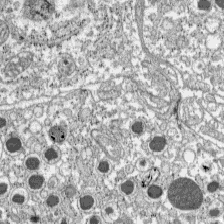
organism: C57BL Mouse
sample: Pancreatic islet